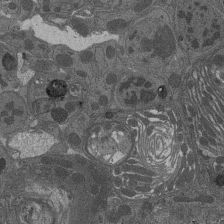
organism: Drosophila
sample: Antenna